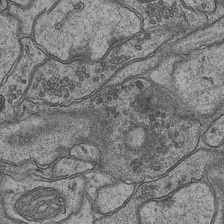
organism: Mouse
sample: CA1 Hippocampus